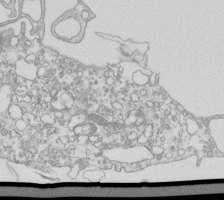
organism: Mouse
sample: Macrophages